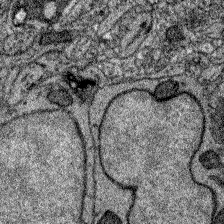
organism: Zebrafish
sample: Larval olfactory bulb